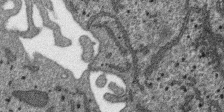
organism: Human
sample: Lung epithelial cells infected with SARS-CoV-2